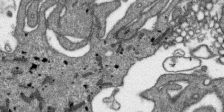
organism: Human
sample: Lung epithelial cells, uninfected (mock) control